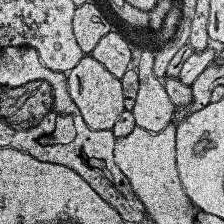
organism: Human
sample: Temporal Lobe